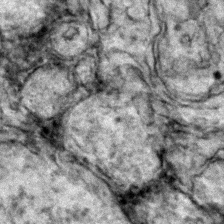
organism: Zebrafish